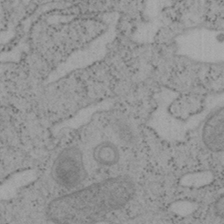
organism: Mouse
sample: OT-I killer T cells with ID8 ovarian cancer cells